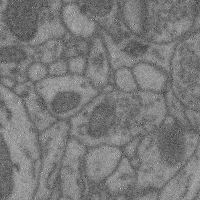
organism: Mouse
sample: Cerebral cortex